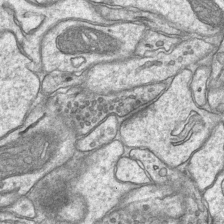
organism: Mouse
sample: CA1 Hippocampus